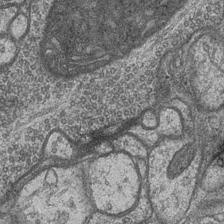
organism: Drosophila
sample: Optic medulla